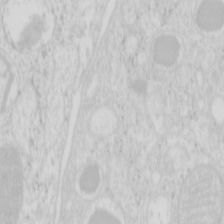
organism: Mouse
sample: Pancreas